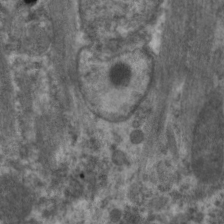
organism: C. elegans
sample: Pharynx